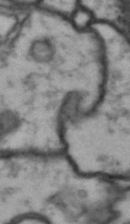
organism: Drosophila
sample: Brain